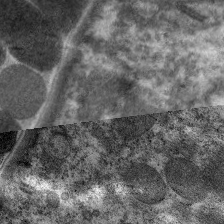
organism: C. elegans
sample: Pharynx